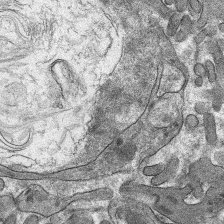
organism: Mouse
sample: Mouse hepatocytes